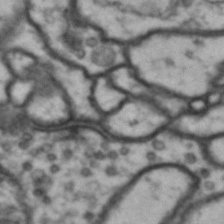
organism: Drosophila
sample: Brain